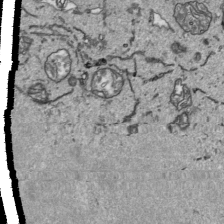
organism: Human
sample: Mitochondria in HCT116 cells